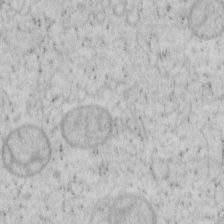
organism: Human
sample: HeLa cells